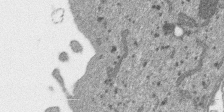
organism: Human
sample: Lung epithelial cells infected with SARS-CoV-2